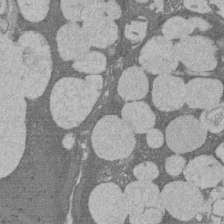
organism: Rat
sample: Salivary granule